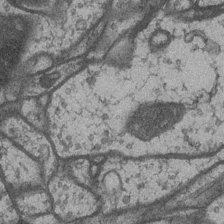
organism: Drosophila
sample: Optic medulla